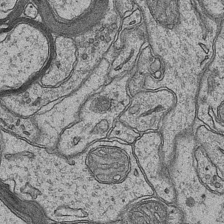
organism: Mouse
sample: CA1 Hippocampus